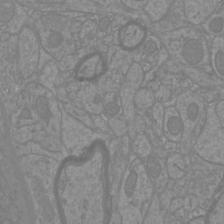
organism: Mouse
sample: Cortical neurons